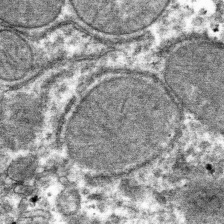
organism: Mouse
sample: Mouse hepatocytes